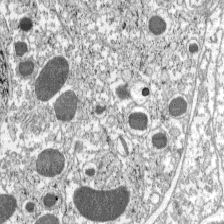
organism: C57BL Mouse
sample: Pancreatic islet